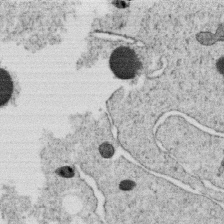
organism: C. elegans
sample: C. elegans oocyte; sperm cells